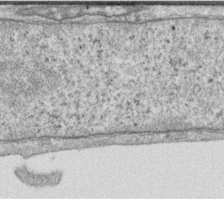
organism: Human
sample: Centriole in RPE cells